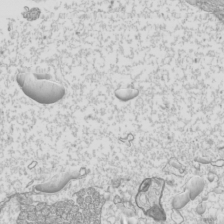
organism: Mouse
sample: Cilia; mouse epididymis